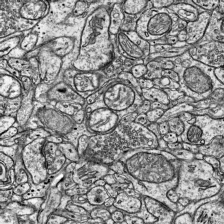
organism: Mouse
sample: Visual Cortex